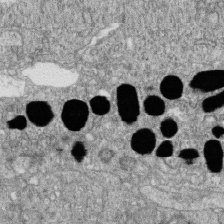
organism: Zebrafish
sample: Cilia; retinal pigment epithelium